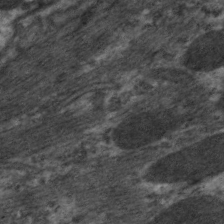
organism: C. elegans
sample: Pharynx